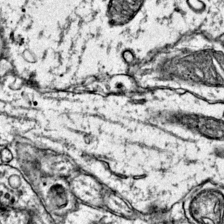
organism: Mouse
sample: Primary visual cortex